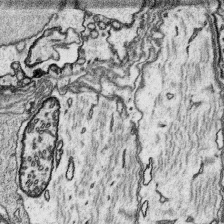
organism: Platynereis dumerilii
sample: Parapodia